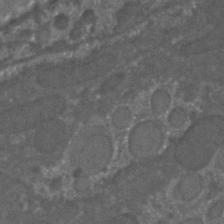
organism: C. elegans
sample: C. elegans embryo